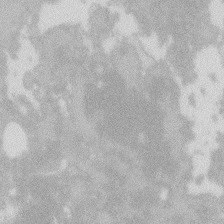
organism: Zebrafish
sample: Macrophage